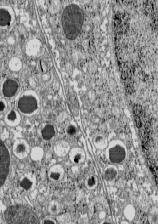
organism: C57BL Mouse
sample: Pancreatic islet